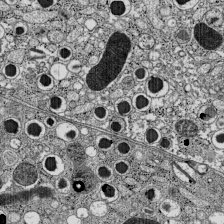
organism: C57BL Mouse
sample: Pancreatic islet